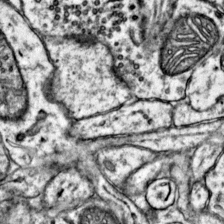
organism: Mouse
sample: Primary visual cortex